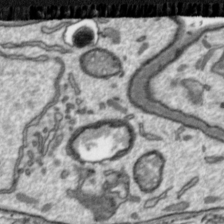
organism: Toxoplasma gondii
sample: Parasites in a vacuole inside a host cell